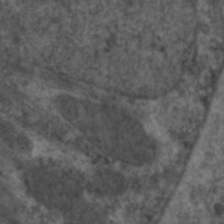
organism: C. elegans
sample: Pharynx